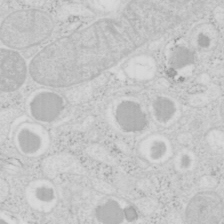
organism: Mouse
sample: Pancreas